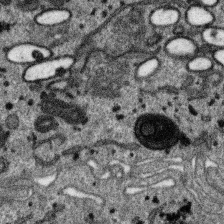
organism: Human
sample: Lung epithelial cells infected with SARS-CoV-2